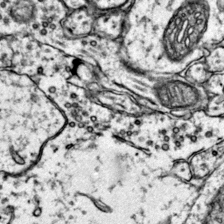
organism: Mouse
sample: Primary visual cortex